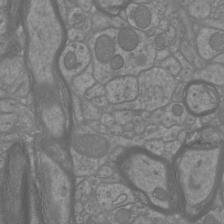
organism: Mouse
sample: Cortical neurons